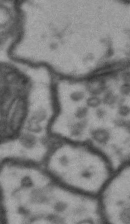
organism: Drosophila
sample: Brain